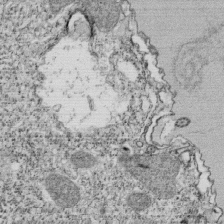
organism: Tetrahymena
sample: Cilia in tetrahymena